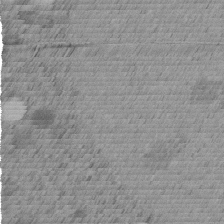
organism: C. elegans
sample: C. elegans embryo early stage